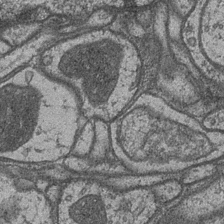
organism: Drosophila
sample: Optic medulla